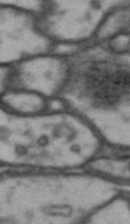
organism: Drosophila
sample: Brain